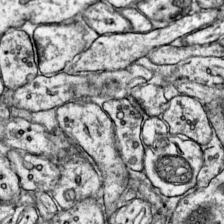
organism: Mouse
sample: Primary visual cortex